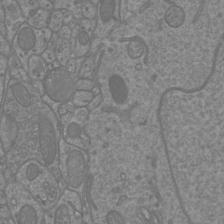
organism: Mouse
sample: Cortical neurons